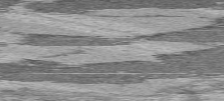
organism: C57BL Mouse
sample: Heart